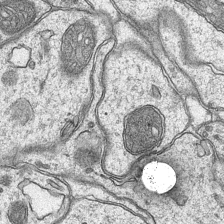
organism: Mouse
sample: CA1 Hippocampus